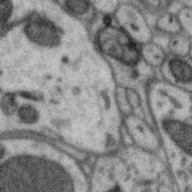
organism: Zebra finch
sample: Brain